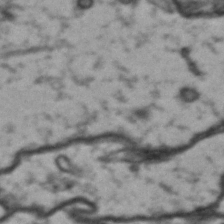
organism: Drosophila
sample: Brain